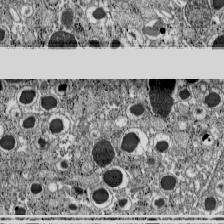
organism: C57BL Mouse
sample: Pancreatic islet